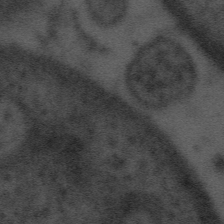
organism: Tuwongella immobilis